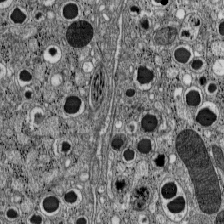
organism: C57BL Mouse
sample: Pancreatic islet